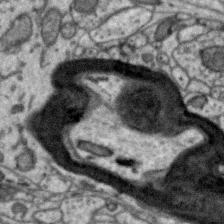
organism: Zebra finch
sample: Brain